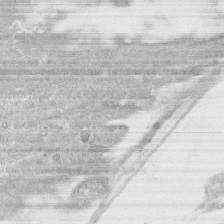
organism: Human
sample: CRL-1474